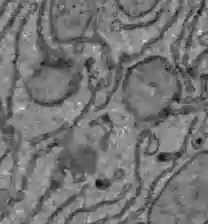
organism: C57BL Mouse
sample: Liver